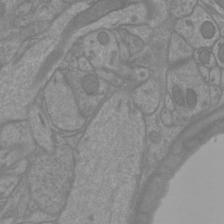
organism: Mouse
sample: Cortical neurons